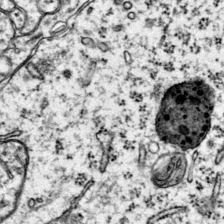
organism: Mouse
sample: Primary visual cortex